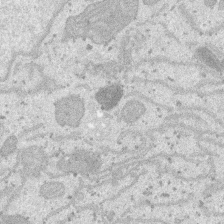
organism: Human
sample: Lung epithelial cells infected with SARS-CoV-2